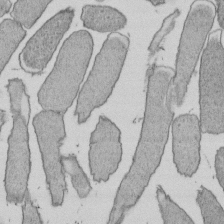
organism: E. coli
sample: Bacterial nucleoid